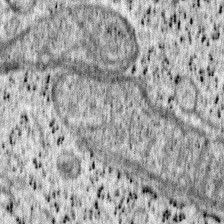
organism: Human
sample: HeLa cells